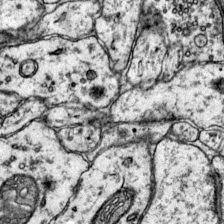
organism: Mouse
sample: Primary visual cortex